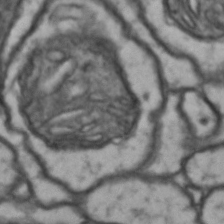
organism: Drosophila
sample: Brain